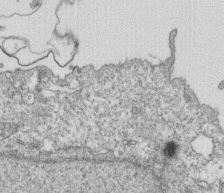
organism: Human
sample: HeLa cell HIV synapse